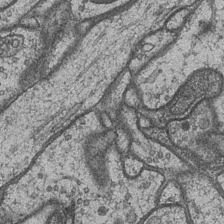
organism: Drosophila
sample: Optic medulla